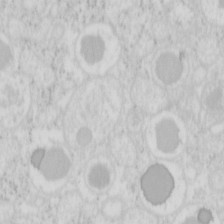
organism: Mouse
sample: Pancreas